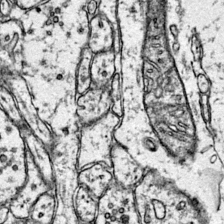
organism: Mouse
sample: Primary visual cortex